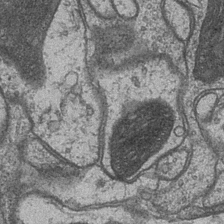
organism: Drosophila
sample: Optic medulla